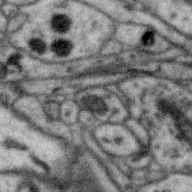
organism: Zebra finch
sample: Brain